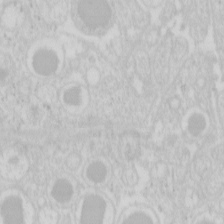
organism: Mouse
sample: Pancreas